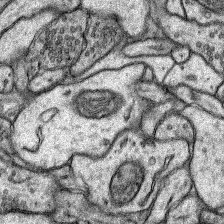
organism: Rat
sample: Hippocampus